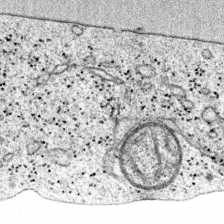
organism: Human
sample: HeLa cells